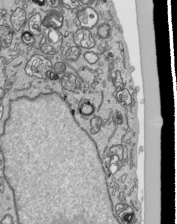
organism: Human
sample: Mitochondria in HCT116 cells